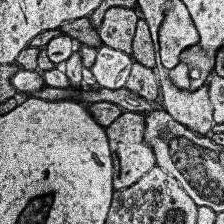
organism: Human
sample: Temporal Lobe